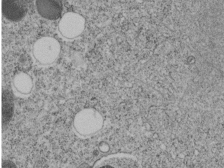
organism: C. elegans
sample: C. elegans embryo early stage